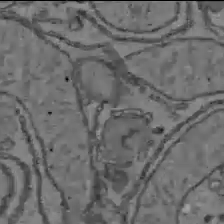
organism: C57BL Mouse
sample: Liver